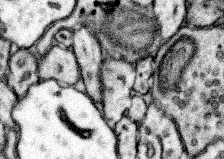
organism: Mouse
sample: Somatosensory cortex neuropil